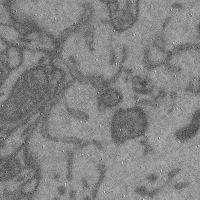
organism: Mouse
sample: Cerebral cortex